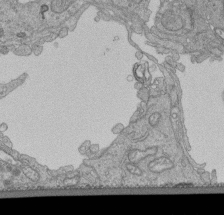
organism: Human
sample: Retinal organoid Rod and Cone cells